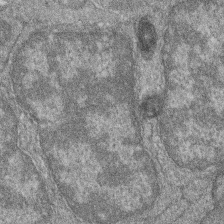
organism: Zebrafish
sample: Cilia; retinal pigment epithelium